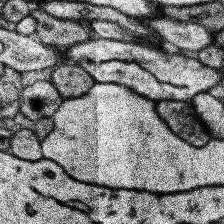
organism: Human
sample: Temporal Lobe